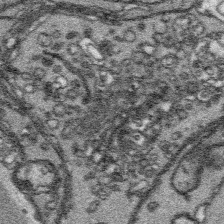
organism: Platynereis dumerilii